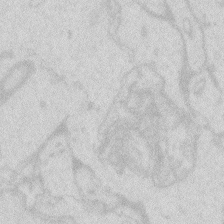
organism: Zebrafish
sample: Macrophage